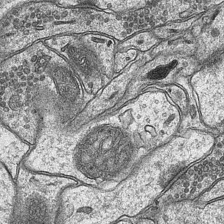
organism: Mouse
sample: CA1 Hippocampus